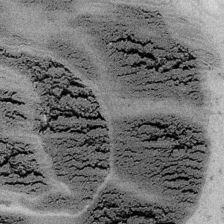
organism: Embia sp.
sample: Silk gland